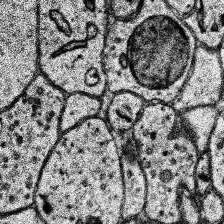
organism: Human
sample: Temporal Lobe